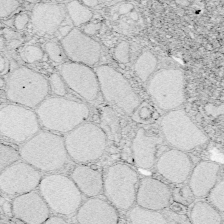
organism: Zebrafish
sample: Whole-Brain